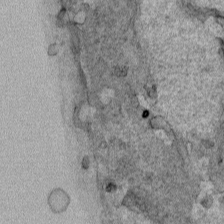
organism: Human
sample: Mitochondria in HCT116 cells